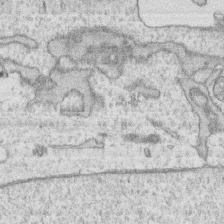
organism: Human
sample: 1205lu cells